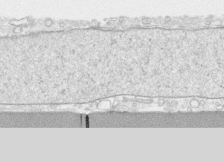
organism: Human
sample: CRL-1474